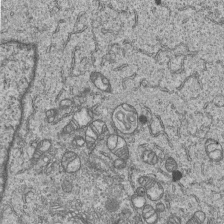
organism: Human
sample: MDA-MB-231 cells